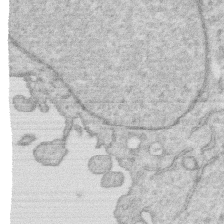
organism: Human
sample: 1205lu cells